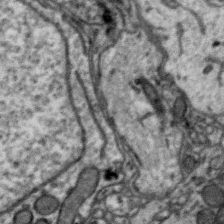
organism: Zebra finch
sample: Brain